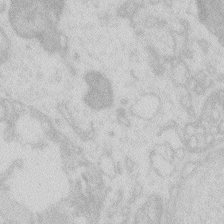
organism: Zebrafish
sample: Macrophage